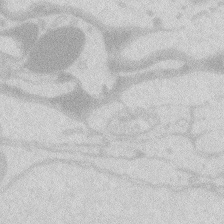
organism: Zebrafish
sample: Macrophage